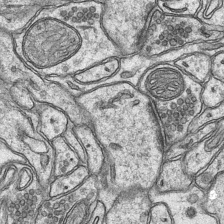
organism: Mouse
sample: CA1 Hippocampus